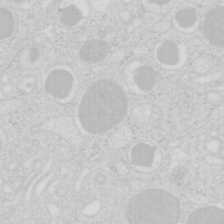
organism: Mouse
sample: Pancreas